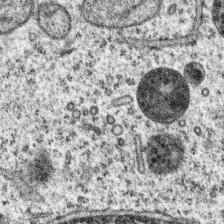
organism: Human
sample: HeLa cells